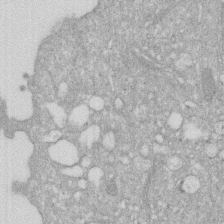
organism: Human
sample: HIV infected U937 cells